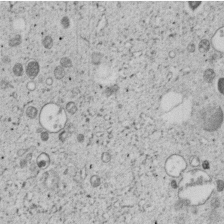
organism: C. elegans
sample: C. elegans embryo early stage